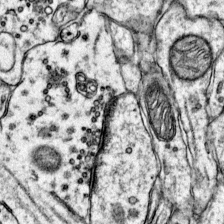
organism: Mouse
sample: Primary visual cortex